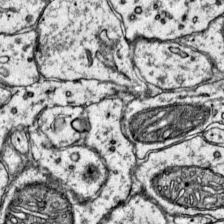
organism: Mouse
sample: Primary visual cortex